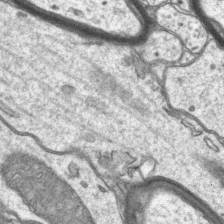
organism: Mouse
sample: CA1 Hippocampus